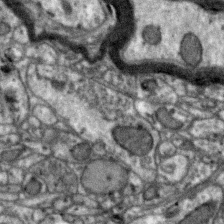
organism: Zebra finch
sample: Brain